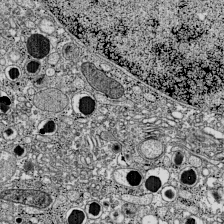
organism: C57BL Mouse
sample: Pancreatic islet